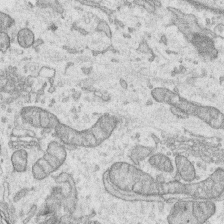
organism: Human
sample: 1205lu cells